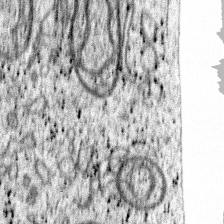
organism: Human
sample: HeLa cells